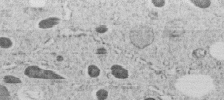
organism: C. elegans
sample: C. elegans embryo early stage